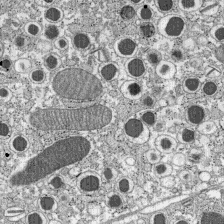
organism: C57BL Mouse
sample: Pancreatic islet